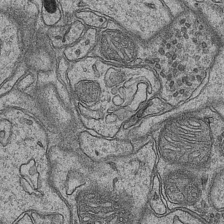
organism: Mouse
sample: CA1 Hippocampus